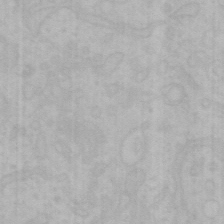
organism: Mouse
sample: Choroid plexus